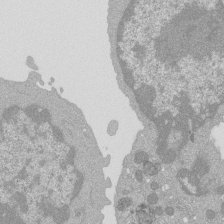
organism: Mouse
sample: Activated Pmel transgenic CD8+ T Cells